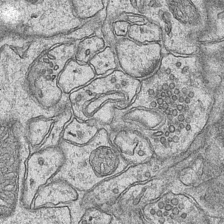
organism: Mouse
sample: CA1 Hippocampus